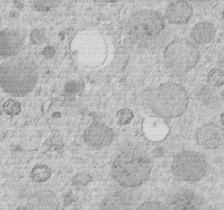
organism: C. elegans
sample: C. elegans embryo early stage